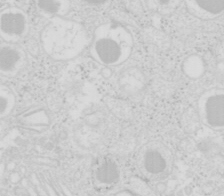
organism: Mouse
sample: Pancreas